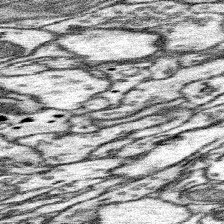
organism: Mouse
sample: Somatosensory cortex neuropil